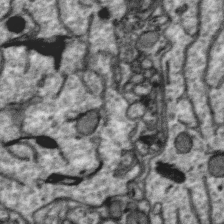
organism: Zebra finch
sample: Brain